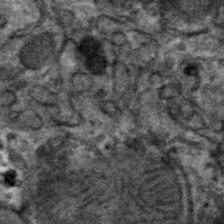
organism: Mouse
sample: Mouse hepatocytes